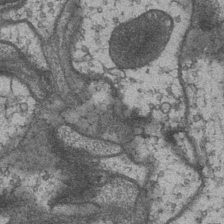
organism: Drosophila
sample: Optic medulla